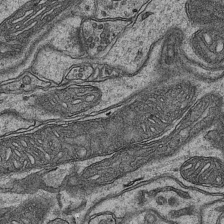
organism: Mouse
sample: CA1 Hippocampus